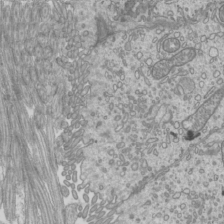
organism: Mouse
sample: Cilia; mouse epididymis